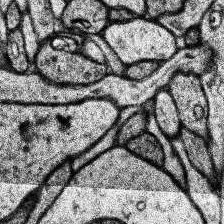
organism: Human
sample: Temporal Lobe